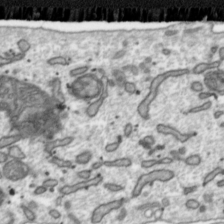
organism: Toxoplasma gondii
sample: Parasites in a vacuole inside a host cell